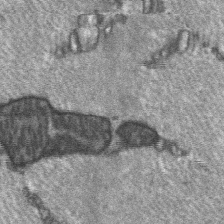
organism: C57BL Mouse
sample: Soleus